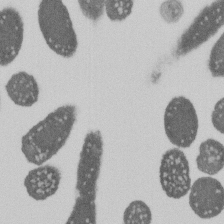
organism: E. coli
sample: Bacterial nucleoid